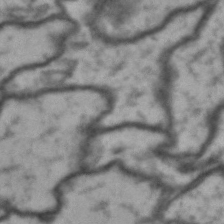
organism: Drosophila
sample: Brain